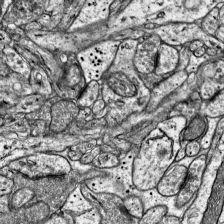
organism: Mouse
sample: Visual Cortex